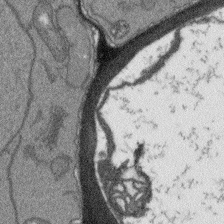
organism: Arabidopsis thaliana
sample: Root tip